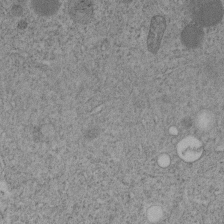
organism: C. elegans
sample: C. elegans embryo early stage